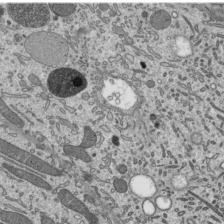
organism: Mouse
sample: Mouse epididymis efferent ductule cilia